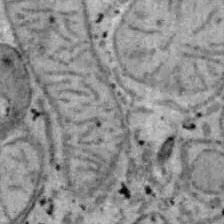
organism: Mouse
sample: Liver from an obese (ob/ob) mouse